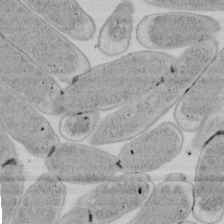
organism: E. coli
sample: Bacterial nucleoid